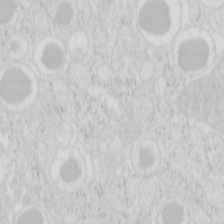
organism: Mouse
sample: Pancreas